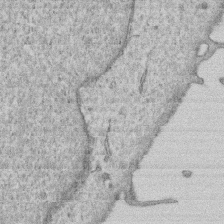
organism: Human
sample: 1205lu cells